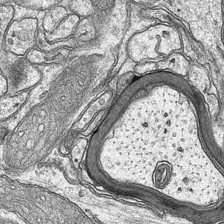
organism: Mouse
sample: CA1 Hippocampus